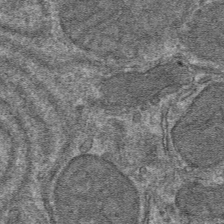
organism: Mouse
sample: Mouse hepatocytes